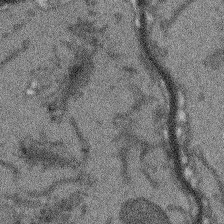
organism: Arabidopsis thaliana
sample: Root tip